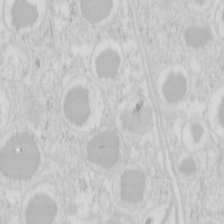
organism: Mouse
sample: Pancreas